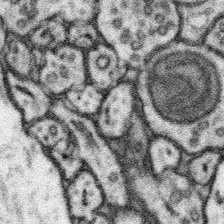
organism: Mouse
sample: Somatosensory cortex neuropil